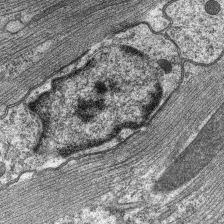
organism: C. elegans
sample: Pharynx